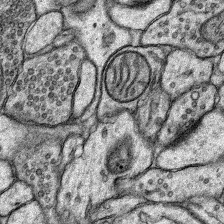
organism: Rat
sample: Hippocampus